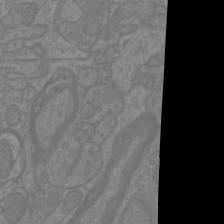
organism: Mouse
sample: Cortical neurons